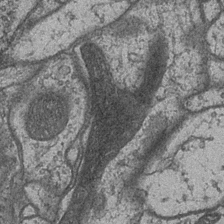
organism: Drosophila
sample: Optic medulla